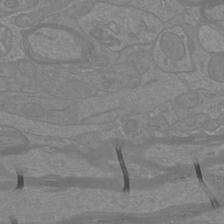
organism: Mouse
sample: Cortical neurons